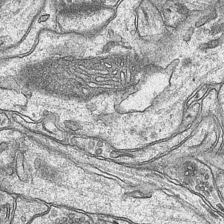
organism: Mouse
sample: CA1 Hippocampus